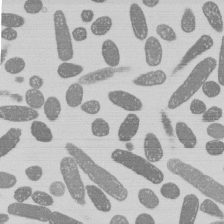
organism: E. coli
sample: Bacterial nucleoid